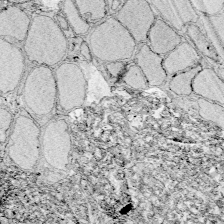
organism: Zebrafish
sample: Whole-Brain